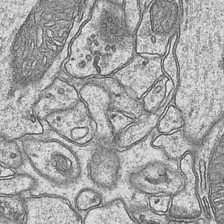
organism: Mouse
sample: CA1 Hippocampus